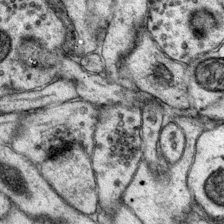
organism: Mouse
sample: Primary visual cortex